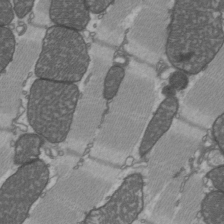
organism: C57BL Mouse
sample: Heart